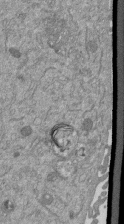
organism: Mouse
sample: ED-1 cell nuclei; centrioles